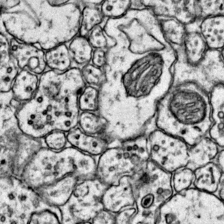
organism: Mouse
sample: Primary visual cortex